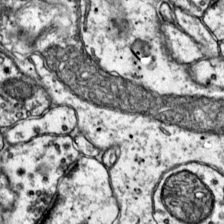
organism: Mouse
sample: Primary visual cortex